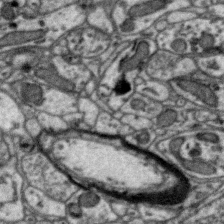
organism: Zebra finch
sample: Brain